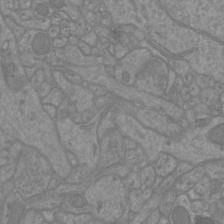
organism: Mouse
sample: Cortical neurons